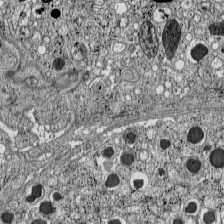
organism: C57BL Mouse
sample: Pancreatic islet